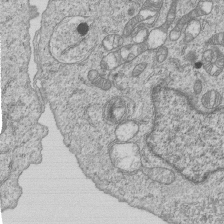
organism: Human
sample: MDA-MB-231 cells